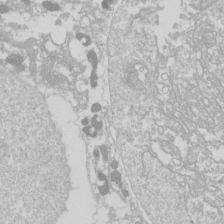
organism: Drosophila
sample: Cell division; meiosis; drosophila spermatocytes